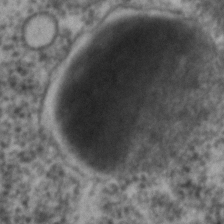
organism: C. elegans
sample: C. elegans embryo